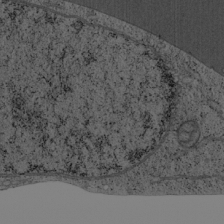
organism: African green monkey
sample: COS-7 cells